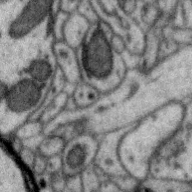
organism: Zebra finch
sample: Brain